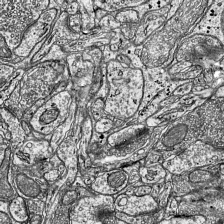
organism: Mouse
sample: Visual Cortex